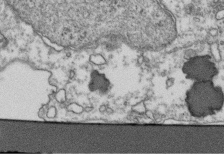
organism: Human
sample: Activated Jurkat CD4+ T cells